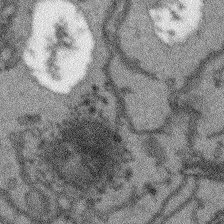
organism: Arabidopsis thaliana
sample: Root tip